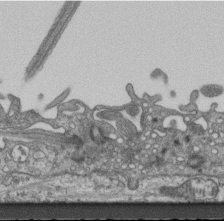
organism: Mouse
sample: Centriole in ependymal cells